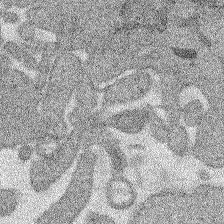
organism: Human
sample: HeLa cells